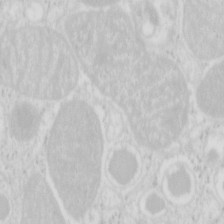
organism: Mouse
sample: Pancreas